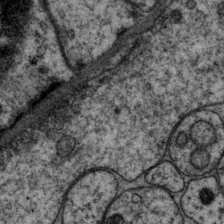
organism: P. pacificus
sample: Pharynx